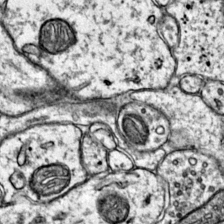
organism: Mouse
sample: Primary visual cortex